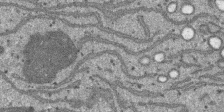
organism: Human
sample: Lung epithelial cells infected with SARS-CoV-2